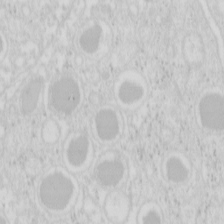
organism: Mouse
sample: Pancreas